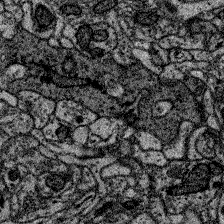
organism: Zebrafish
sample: Larval olfactory bulb